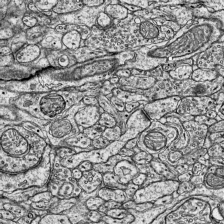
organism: Mouse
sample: Visual Cortex